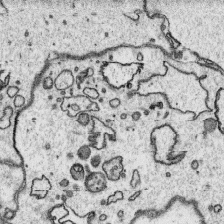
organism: Platynereis dumerilii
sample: Parapodia